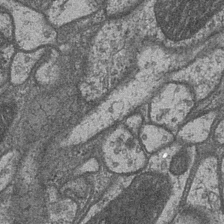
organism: Drosophila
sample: Optic medulla